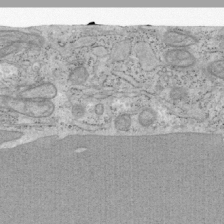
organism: Human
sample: HeLa cells